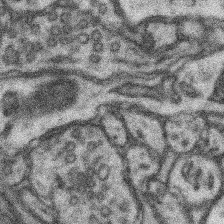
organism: Mouse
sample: Somatosensory cortex neuropil